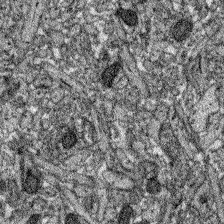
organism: Zebrafish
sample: Larval olfactory bulb